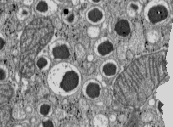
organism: C57BL Mouse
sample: Pancreatic islet